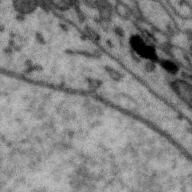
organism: Zebra finch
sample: Brain